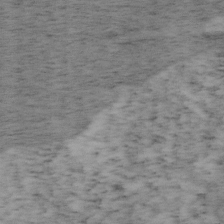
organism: Mouse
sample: OT-I killer T cells with ID8 ovarian cancer cells